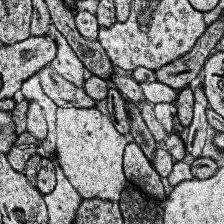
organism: Human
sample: Temporal Lobe